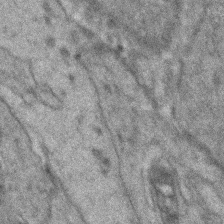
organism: Zebrafish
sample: Zebrafish embryo